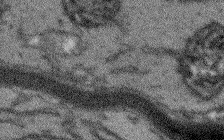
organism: Arabidopsis thaliana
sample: Root tip